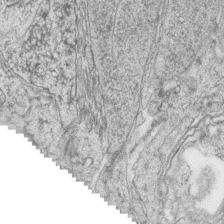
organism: Zebrafish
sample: synaptic ribbons in rod cells and cone cells